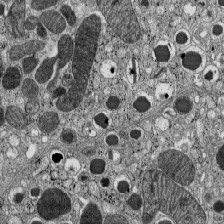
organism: C57BL Mouse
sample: Pancreatic islet